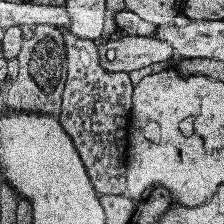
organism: Human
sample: Temporal Lobe